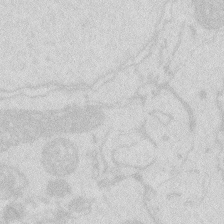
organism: Zebrafish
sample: Macrophage